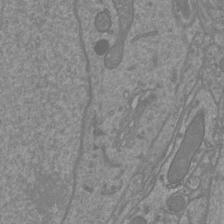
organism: Mouse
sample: Cortical neurons